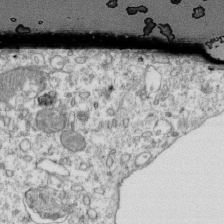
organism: Mouse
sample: Activated OT-1 CD8+ T cells